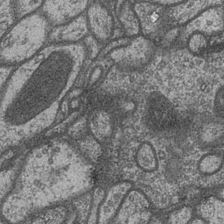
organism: Drosophila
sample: Optic medulla